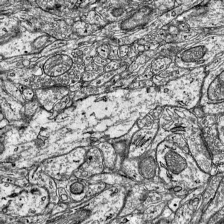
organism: Mouse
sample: Visual Cortex